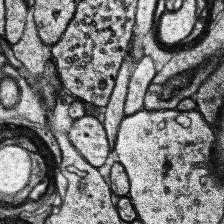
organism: Human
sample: Temporal Lobe